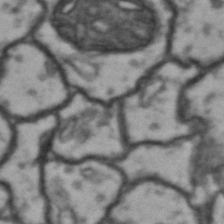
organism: Drosophila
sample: Brain